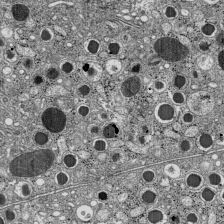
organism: C57BL Mouse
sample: Pancreatic islet